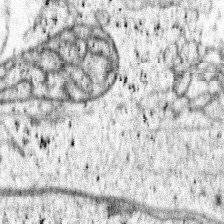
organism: Human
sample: HeLa cells